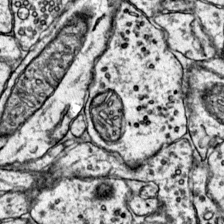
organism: Mouse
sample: Primary visual cortex